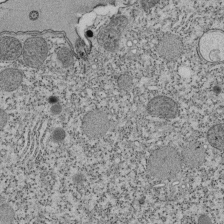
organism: Tetrahymena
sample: Cilia in tetrahymena